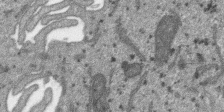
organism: Human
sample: Lung epithelial cells infected with SARS-CoV-2